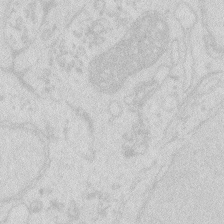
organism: Zebrafish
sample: Macrophage